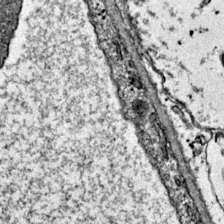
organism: Mouse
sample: Primary visual cortex